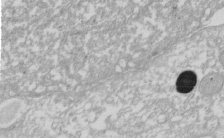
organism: Xenopus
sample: Cilia; centrioles in frog embryo cells